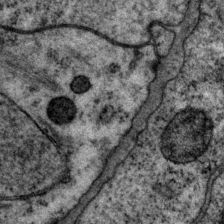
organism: P. pacificus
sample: Pharynx